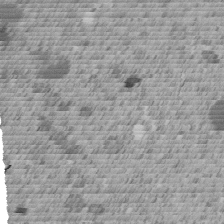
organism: C. elegans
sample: C. elegans embryo early stage